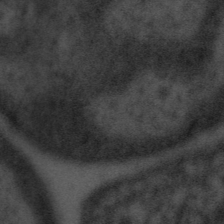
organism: Tuwongella immobilis